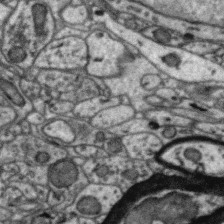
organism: Zebra finch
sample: Brain